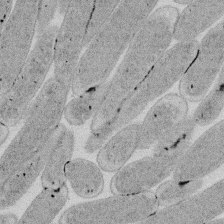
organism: E. coli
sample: Bacterial nucleoid